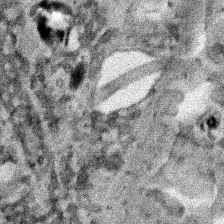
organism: Human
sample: Mitochondria in HCT116 cells